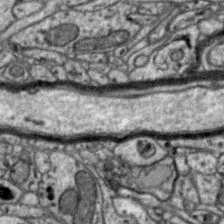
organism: Zebra finch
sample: Brain